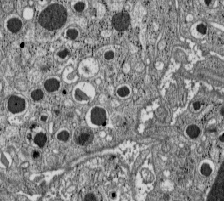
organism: C57BL Mouse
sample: Pancreatic islet